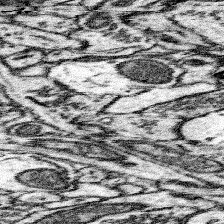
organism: Mouse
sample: Somatosensory cortex neuropil